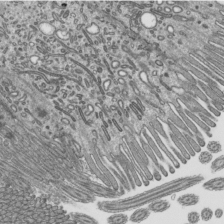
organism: Mouse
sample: Mouse epididymis efferent ductule cilia